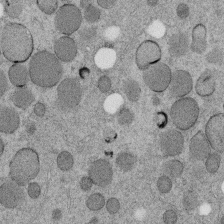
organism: C. elegans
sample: C. elegans embryo early stage